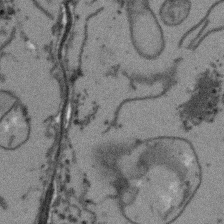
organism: Arabidopsis thaliana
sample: Root tip